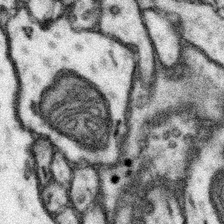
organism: Mouse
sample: Somatosensory cortex neuropil